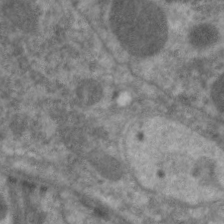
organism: C. elegans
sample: Pharynx